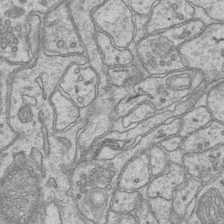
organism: Mouse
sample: CA1 Hippocampus